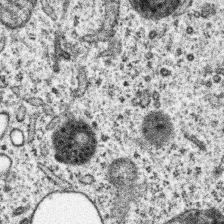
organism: Human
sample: HeLa cells